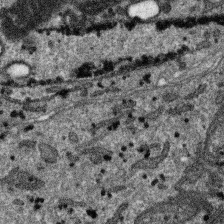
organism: Human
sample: Lung epithelial cells infected with SARS-CoV-2